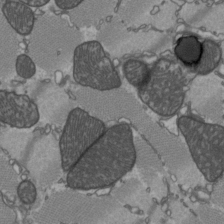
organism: C57BL Mouse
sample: Heart